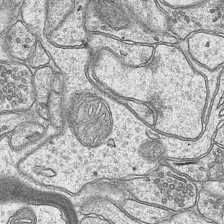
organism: Mouse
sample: CA1 Hippocampus